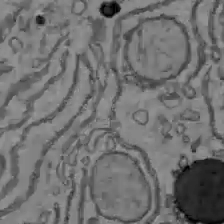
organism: C57BL Mouse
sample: Liver